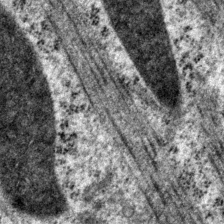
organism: P. pacificus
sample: Pharynx